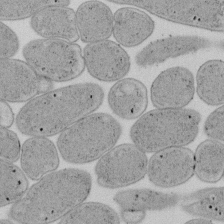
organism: E. coli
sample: Bacterial nucleoid